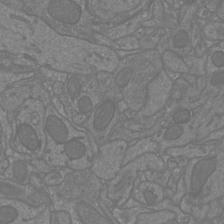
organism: Mouse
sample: Cortical neurons